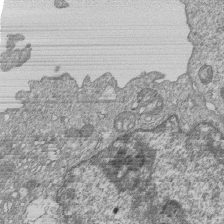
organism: Human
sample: MDA-MB-231 cells